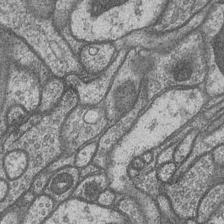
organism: Drosophila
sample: Optic medulla